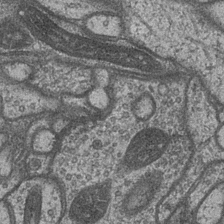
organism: Drosophila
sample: Optic medulla